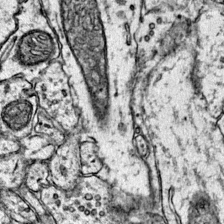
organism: Mouse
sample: Primary visual cortex